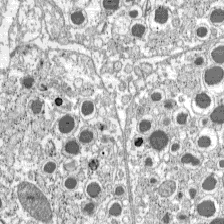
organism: C57BL Mouse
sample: Pancreatic islet